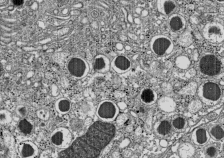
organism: C57BL Mouse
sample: Pancreatic islet